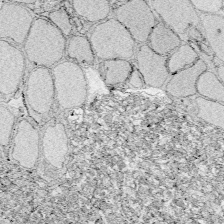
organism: Zebrafish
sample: Whole-Brain